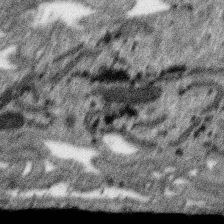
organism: Human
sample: Lung epithelial cells infected with SARS-CoV-2